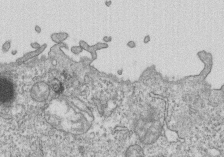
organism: Human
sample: HeLa cell HIV synapse